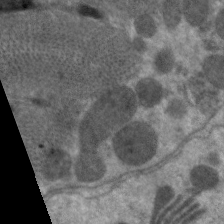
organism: C. elegans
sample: Pharynx